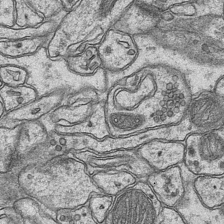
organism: Mouse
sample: CA1 Hippocampus